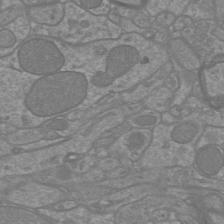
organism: Mouse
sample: Cortical neurons